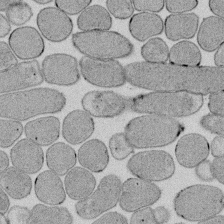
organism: E. coli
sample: Bacterial nucleoid